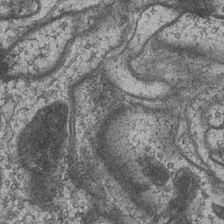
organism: Drosophila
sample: Optic medulla